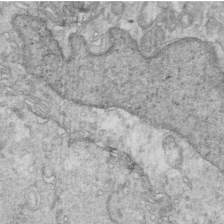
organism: Mouse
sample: Multiciliated cells